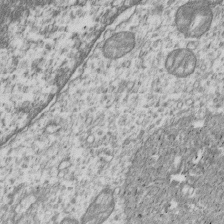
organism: Human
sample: MDA-MB-231 cells